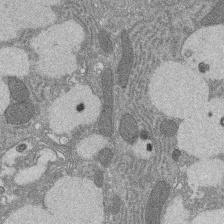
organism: Rat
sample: Salivary granule